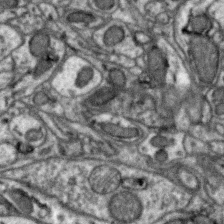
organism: Zebra finch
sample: Brain